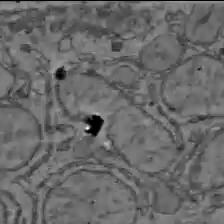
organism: C57BL Mouse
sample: Liver